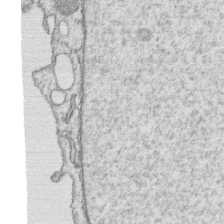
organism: Human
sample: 1205lu cells